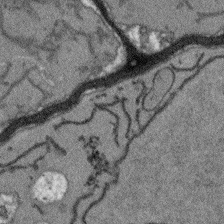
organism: Arabidopsis thaliana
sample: Root tip